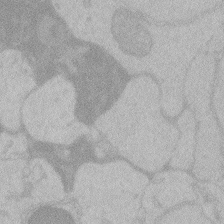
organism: Zebrafish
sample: Macrophage infected with Toxoplasma gondii